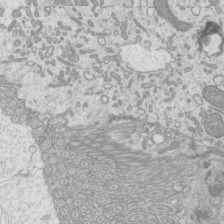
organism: Mouse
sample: Cilia; mouse epididymis